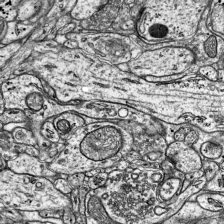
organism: Mouse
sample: Visual Cortex